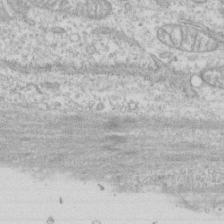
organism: Human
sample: CRL-1474